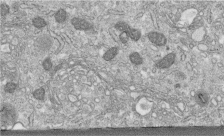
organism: Human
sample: Centriole in fibroblast cells